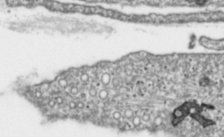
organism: Toxoplasma gondii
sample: Parasites in a vacuole inside a host cell